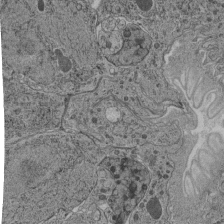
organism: C. elegans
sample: C. elegans pharynx